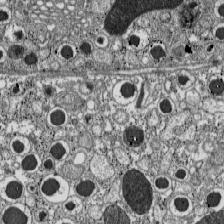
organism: C57BL Mouse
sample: Pancreatic islet